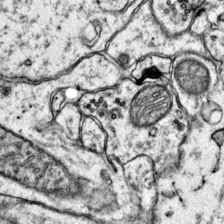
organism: Mouse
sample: Primary visual cortex